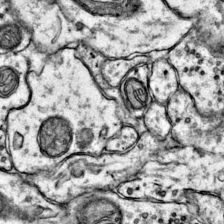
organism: Mouse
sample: Primary visual cortex